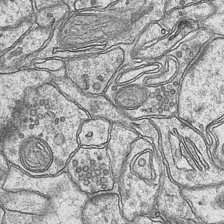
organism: Mouse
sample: CA1 Hippocampus